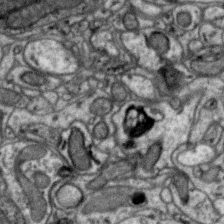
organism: Zebra finch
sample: Brain